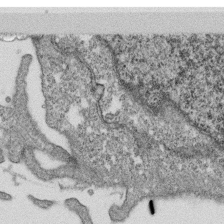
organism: African green monkey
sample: Vero E6 cells infected with SARS-CoV-2